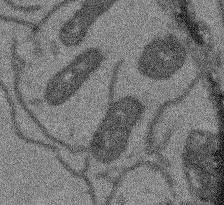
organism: Arabidopsis thaliana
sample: Root tip